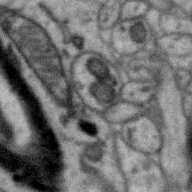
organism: Zebra finch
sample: Brain